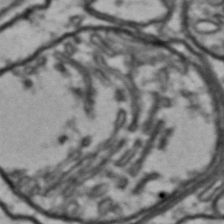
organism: Drosophila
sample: Brain